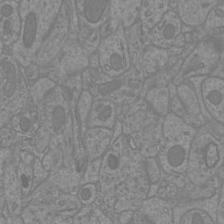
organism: Mouse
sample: Cortical neurons